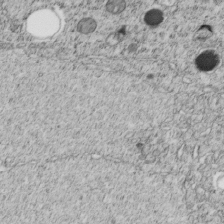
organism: C. elegans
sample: C. elegans embryo early stage